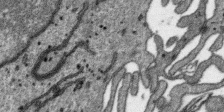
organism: Human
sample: Lung epithelial cells, uninfected (mock) control